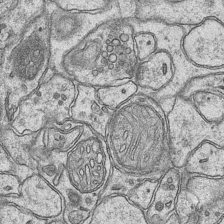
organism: Mouse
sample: CA1 Hippocampus